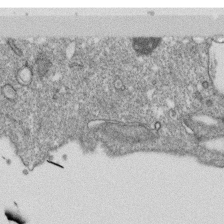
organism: African green monkey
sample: Vero E6 cells infected with SARS-CoV-2